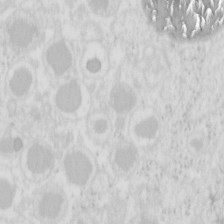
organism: Mouse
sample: Pancreas